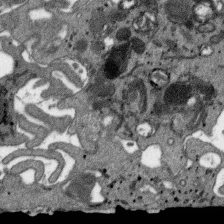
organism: Human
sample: Lung epithelial cells, uninfected (mock) control